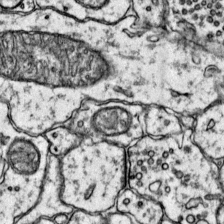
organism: Mouse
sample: Primary visual cortex